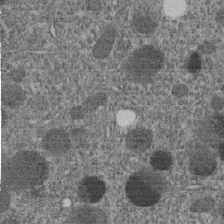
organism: C. elegans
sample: C. elegans embryo early stage